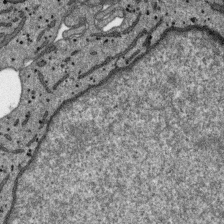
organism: Human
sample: Lung epithelial cells, uninfected (mock) control